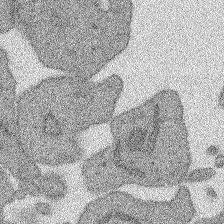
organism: Human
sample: HeLa cells